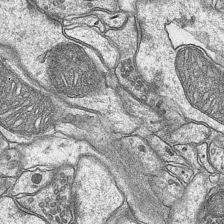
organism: Mouse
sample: CA1 Hippocampus